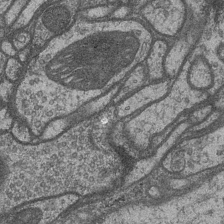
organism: Drosophila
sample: Optic medulla